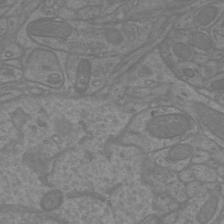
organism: Mouse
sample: Cortical neurons